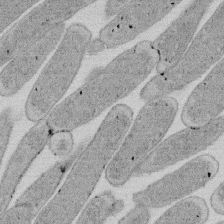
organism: E. coli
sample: Bacterial nucleoid